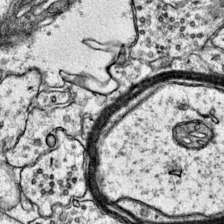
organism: Mouse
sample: Primary visual cortex